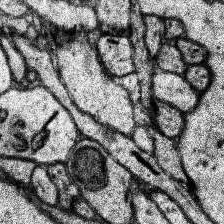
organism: Human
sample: Temporal Lobe